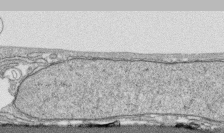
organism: Human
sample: CRL-1474